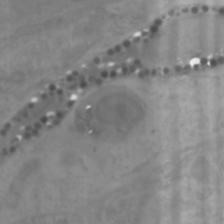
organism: Zebrafish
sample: Zebrafish embryo